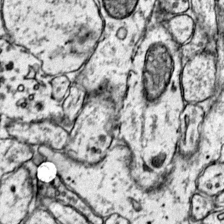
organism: Mouse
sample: Primary visual cortex